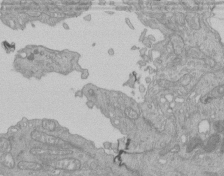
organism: Human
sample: Retinal organoid Rod and Cone cells